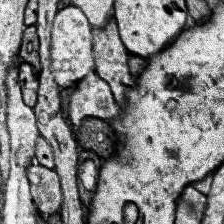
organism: Human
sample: Temporal Lobe